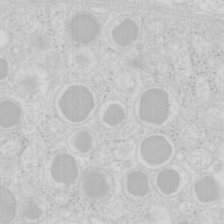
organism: Mouse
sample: Pancreas